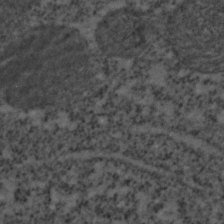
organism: C. elegans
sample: C. elegans embryo